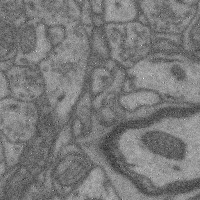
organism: Mouse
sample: Cerebral cortex